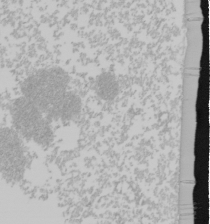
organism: Mouse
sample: Cancer cell death in ED-1 cells